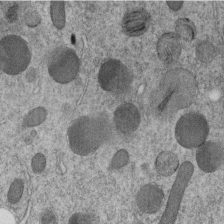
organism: C. elegans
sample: C. elegans embryo early stage